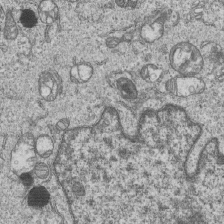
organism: Human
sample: MDA-MB-231 cells